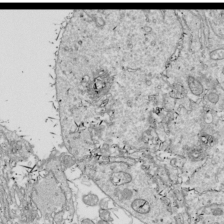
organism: Drosophila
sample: Cell division; meiosis; drosophila spermatocytes